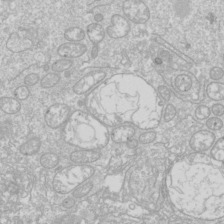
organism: Drosophila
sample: Cell division; meiosis; drosophila spermatocytes